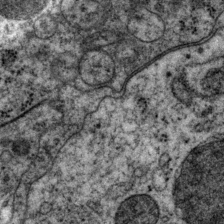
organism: P. pacificus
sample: Pharynx